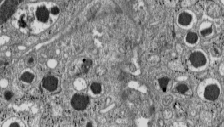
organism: C57BL Mouse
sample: Pancreatic islet